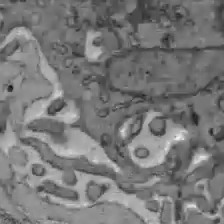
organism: C57BL Mouse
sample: Liver